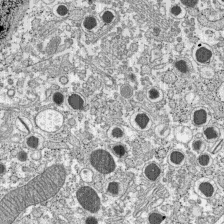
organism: C57BL Mouse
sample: Pancreatic islet